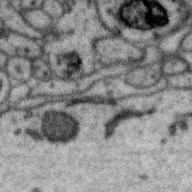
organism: Zebra finch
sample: Brain